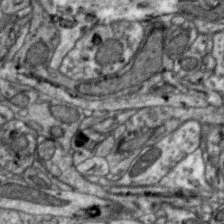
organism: Zebra finch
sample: Brain